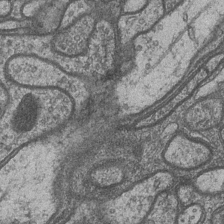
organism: Drosophila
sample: Optic medulla